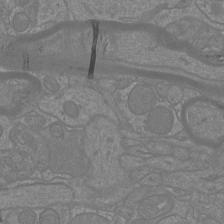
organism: Mouse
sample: Cortical neurons